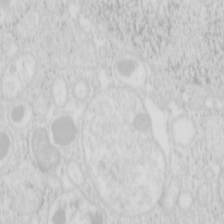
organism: Mouse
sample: Pancreas